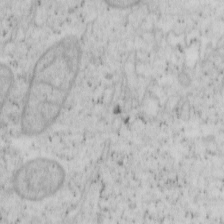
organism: Human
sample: HeLa cells